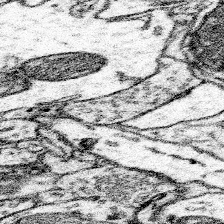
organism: Mouse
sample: Somatosensory cortex neuropil